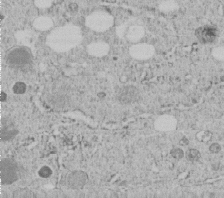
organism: C. elegans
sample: C. elegans embryo early stage